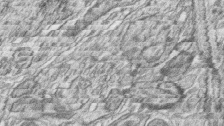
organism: Zebrafish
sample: synaptic ribbons in rod cells and cone cells